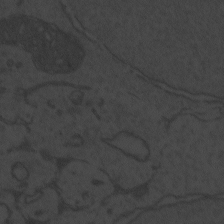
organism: Zebrafish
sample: Macrophage infected with Toxoplasma gondii